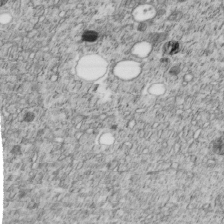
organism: C. elegans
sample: C. elegans embryo early stage